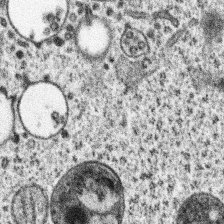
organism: Human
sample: HeLa cells